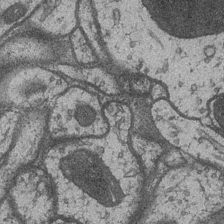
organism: Drosophila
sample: Optic medulla